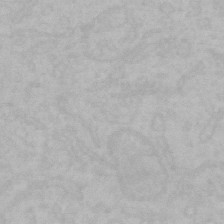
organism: Mouse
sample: Choroid plexus